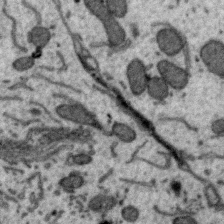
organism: Zebra finch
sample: Brain